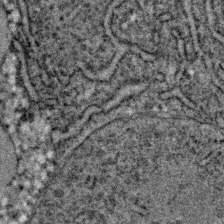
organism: C. elegans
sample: C. elegans embryo